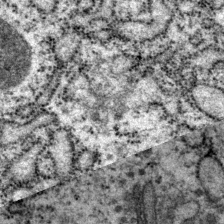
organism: P. pacificus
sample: Pharynx